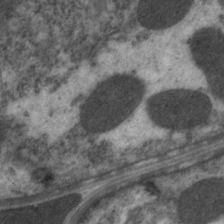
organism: C. elegans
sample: Pharynx